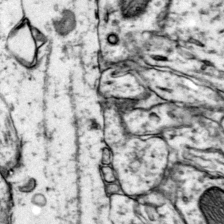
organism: Mouse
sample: Primary visual cortex